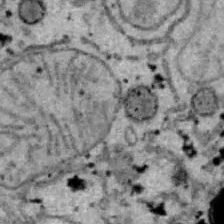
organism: Mouse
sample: Liver from an obese (ob/ob) mouse